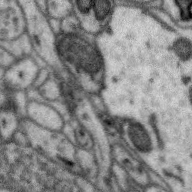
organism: Zebra finch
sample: Brain